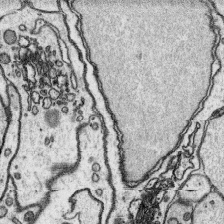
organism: Platynereis dumerilii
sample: Parapodia